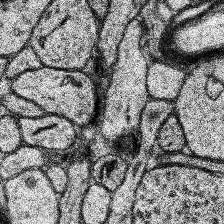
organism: Human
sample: Temporal Lobe